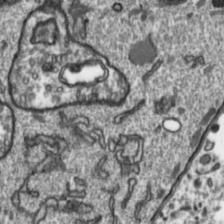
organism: Toxoplasma gondii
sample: Parasites in a vacuole inside a host cell